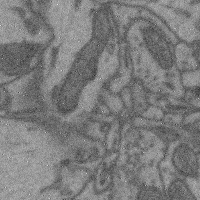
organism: Mouse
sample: Cerebral cortex